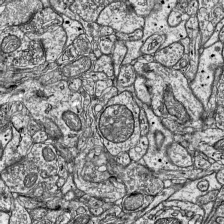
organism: Mouse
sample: Visual Cortex